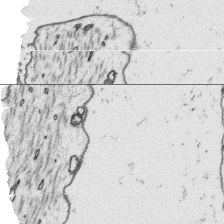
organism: Platynereis dumerilii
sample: Parapodia